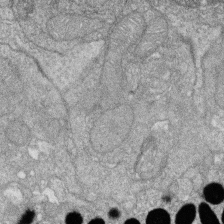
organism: Zebrafish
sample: Cilia; retinal pigment epithelium